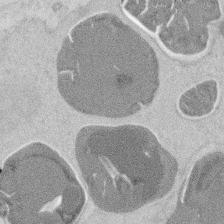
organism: Mouse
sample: T cell stromal cell synapse